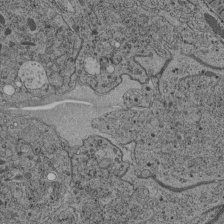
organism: C. elegans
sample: C. elegans pharynx